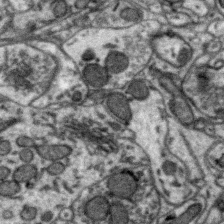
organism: Zebra finch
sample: Brain